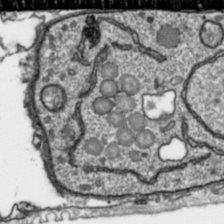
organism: Toxoplasma gondii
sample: Parasites in a vacuole inside a host cell